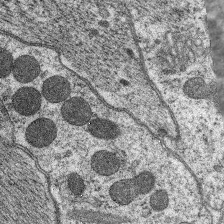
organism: C. elegans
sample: Pharynx